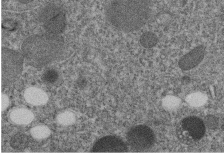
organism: C. elegans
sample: C. elegans embryo early stage